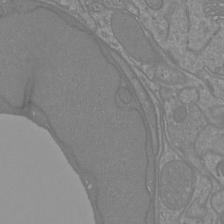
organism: Mouse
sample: Cortical neurons